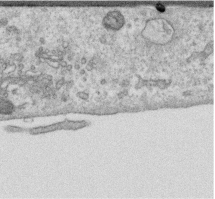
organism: Human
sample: Centriole in RPE cells